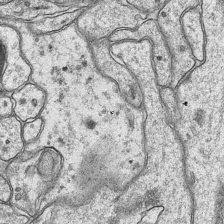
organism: Mouse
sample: CA1 Hippocampus